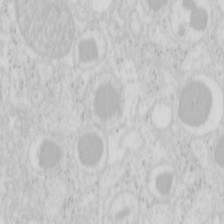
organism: Mouse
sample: Pancreas